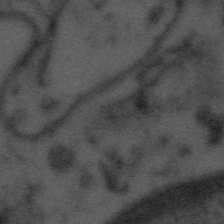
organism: Tuwongella immobilis